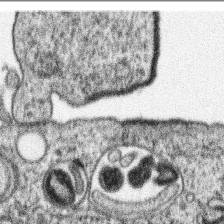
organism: Human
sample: HeLa cells